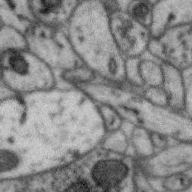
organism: Zebra finch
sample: Brain